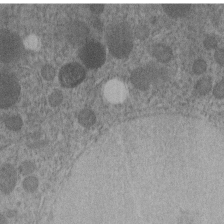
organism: C. elegans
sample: C. elegans embryo early stage